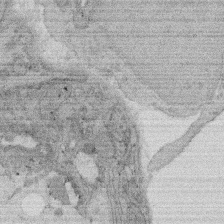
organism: Rat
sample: Salivary granule